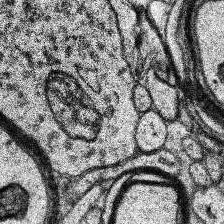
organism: Human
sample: Temporal Lobe